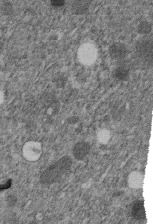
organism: C. elegans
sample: C. elegans embryo early stage